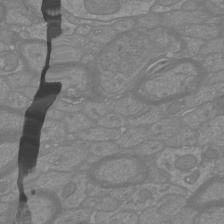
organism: Mouse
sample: Cortical neurons